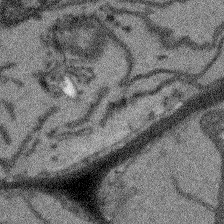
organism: Arabidopsis thaliana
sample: Root tip